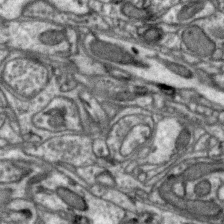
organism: Zebra finch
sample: Brain